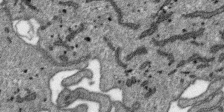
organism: Human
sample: Lung epithelial cells, uninfected (mock) control